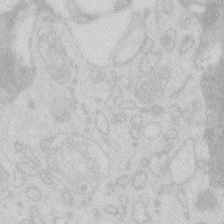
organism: Zebrafish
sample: Macrophage